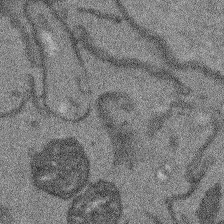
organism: Arabidopsis thaliana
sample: Root tip